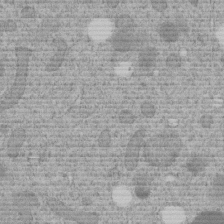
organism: C. elegans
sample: C. elegans embryo early stage